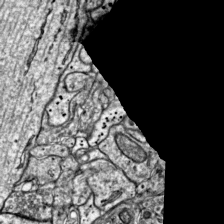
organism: Mouse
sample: Visual Cortex